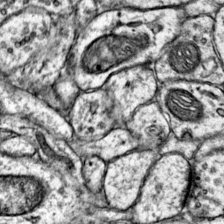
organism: Mouse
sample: Primary visual cortex